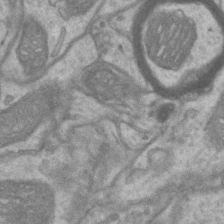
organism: Mouse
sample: CA1 Hippocampus